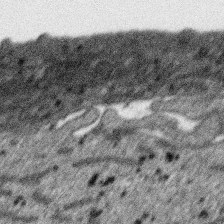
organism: Human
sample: Lung epithelial cells infected with SARS-CoV-2